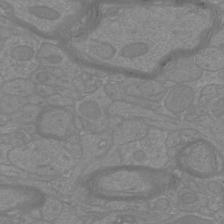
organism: Mouse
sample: Cortical neurons